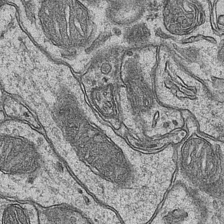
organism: Mouse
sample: CA1 Hippocampus